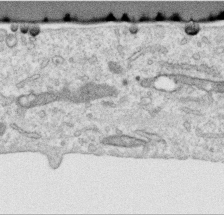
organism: Human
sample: Centriole in RPE cells